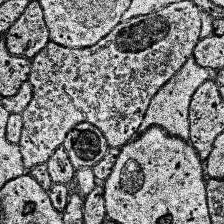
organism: Human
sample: Temporal Lobe